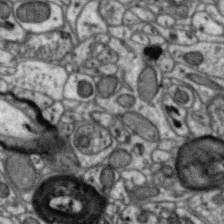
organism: Zebra finch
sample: Brain